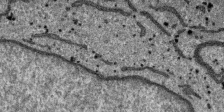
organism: Human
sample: Lung epithelial cells, uninfected (mock) control